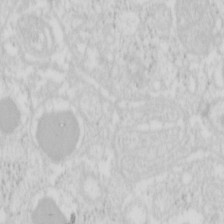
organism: Mouse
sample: Pancreas